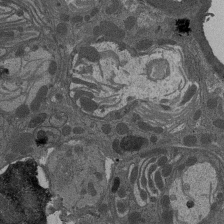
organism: Drosophila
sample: Antenna